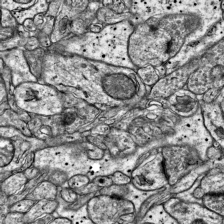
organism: Mouse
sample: Visual Cortex